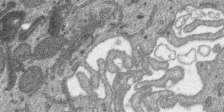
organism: Human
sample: Lung epithelial cells infected with SARS-CoV-2